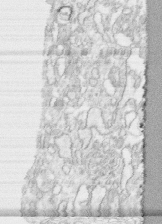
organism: Human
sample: CRL-1474